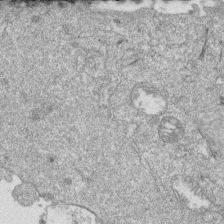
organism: Human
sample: HeLa cell HIV synapse